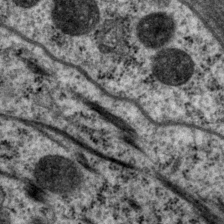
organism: P. pacificus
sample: Pharynx